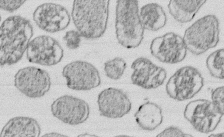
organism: E. coli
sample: Bacterial nucleoid